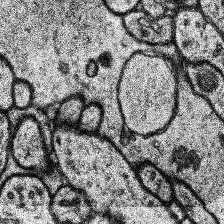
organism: Human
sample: Temporal Lobe